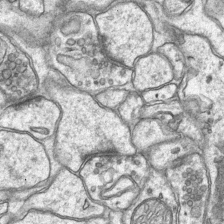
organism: Mouse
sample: CA1 Hippocampus